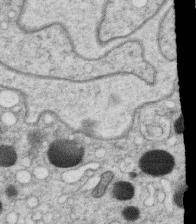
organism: C. elegans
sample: C. elegans oocyte; sperm cells